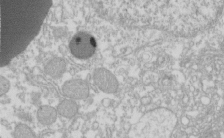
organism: Xenopus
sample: Cilia; centrioles in frog embryo cells